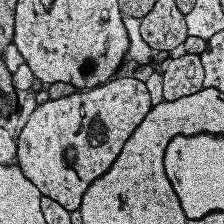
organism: Human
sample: Temporal Lobe